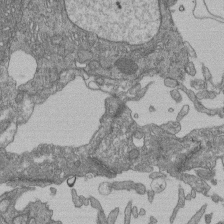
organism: Human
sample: Retinal organoid Rod and Cone cells